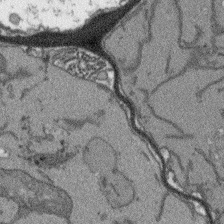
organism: Arabidopsis thaliana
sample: Root tip